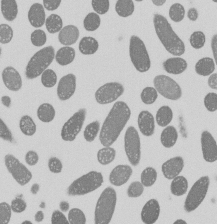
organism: E. coli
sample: Bacterial nucleoid